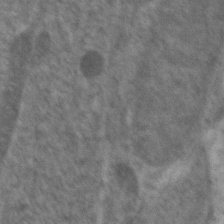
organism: Zebrafish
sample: Zebrafish embryo